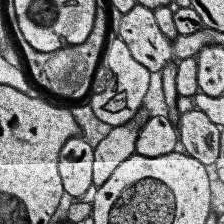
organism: Human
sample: Temporal Lobe